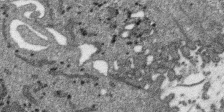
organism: Human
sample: Lung epithelial cells infected with SARS-CoV-2